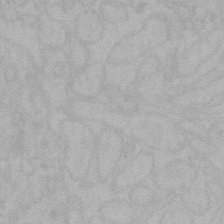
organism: Mouse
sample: Choroid plexus